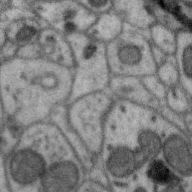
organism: Zebra finch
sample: Brain